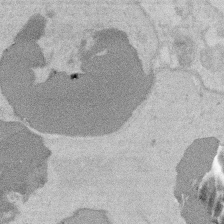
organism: Mouse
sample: T cell stromal cell synapse